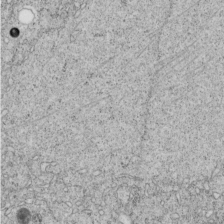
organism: C. elegans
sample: C. elegans embryo early stage